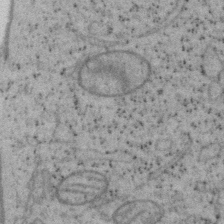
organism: Human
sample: HeLa cells